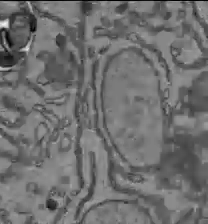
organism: C57BL Mouse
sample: Liver